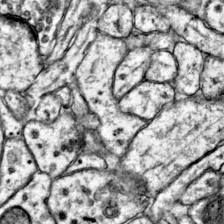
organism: Mouse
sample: Primary visual cortex